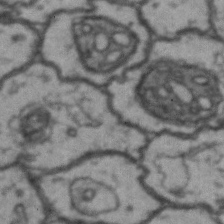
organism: Drosophila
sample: Brain